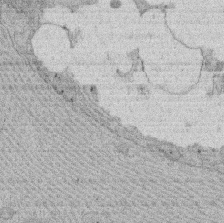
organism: Rat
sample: Salivary granule